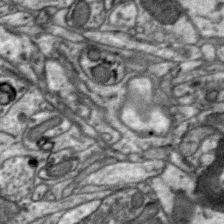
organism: Zebra finch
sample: Brain